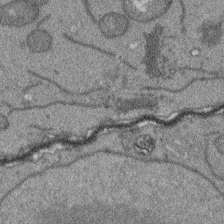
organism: Arabidopsis thaliana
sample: Root tip